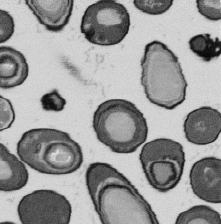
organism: B. subtilis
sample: Bacterial spore